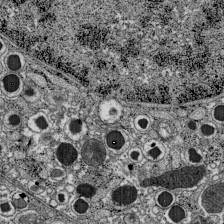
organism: C57BL Mouse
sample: Pancreatic islet